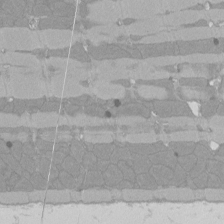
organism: Rat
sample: Left ventricle